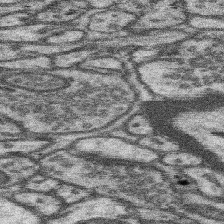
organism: Mouse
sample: Somatosensory cortex neuropil